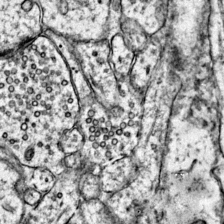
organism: Mouse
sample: Primary visual cortex